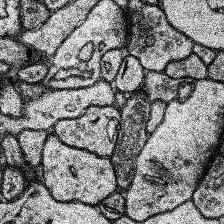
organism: Human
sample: Temporal Lobe